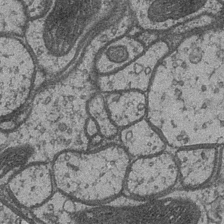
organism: Drosophila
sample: Optic medulla